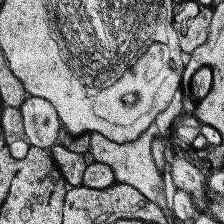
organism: Human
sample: Temporal Lobe